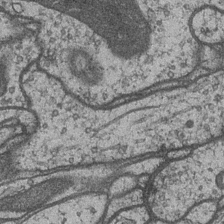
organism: Drosophila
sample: Optic medulla